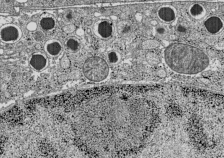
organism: C57BL Mouse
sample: Pancreatic islet